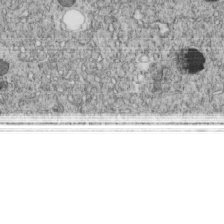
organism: C. elegans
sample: C. elegans embryo early stage